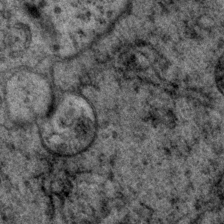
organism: P. pacificus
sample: Pharynx